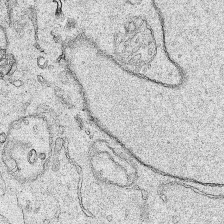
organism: Human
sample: Mitochondria in HCT116 cells